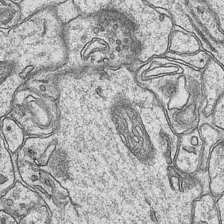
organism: Mouse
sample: CA1 Hippocampus